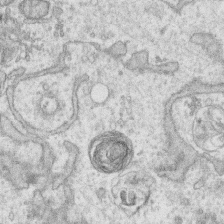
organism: Human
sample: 1205lu cells